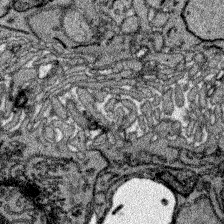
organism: Zebrafish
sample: Larval olfactory bulb